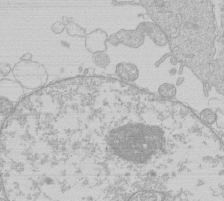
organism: Human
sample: Macrophage cells